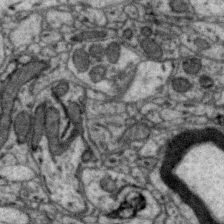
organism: Zebra finch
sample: Brain